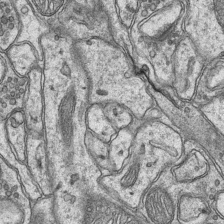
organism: Mouse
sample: CA1 Hippocampus